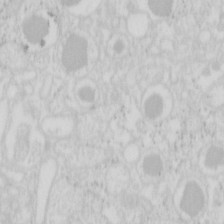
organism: Mouse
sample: Pancreas